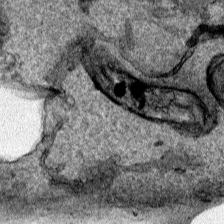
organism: Human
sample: Mitochondria in HCT116 cells